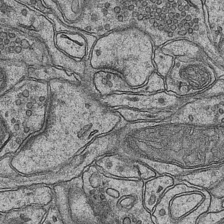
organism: Mouse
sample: CA1 Hippocampus